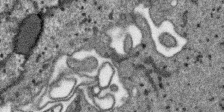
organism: Human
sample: Lung epithelial cells infected with SARS-CoV-2